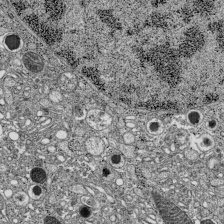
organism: C57BL Mouse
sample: Pancreatic islet